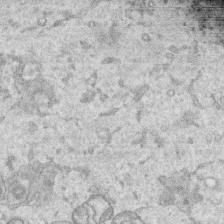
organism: Human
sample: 1205lu cells